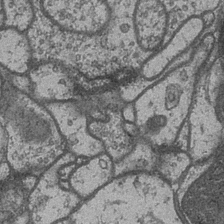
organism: Drosophila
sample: Optic medulla